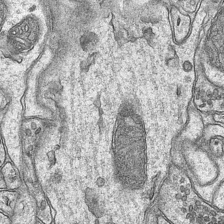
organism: Mouse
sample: CA1 Hippocampus